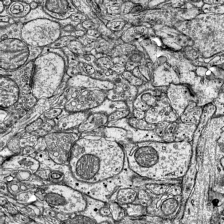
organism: Mouse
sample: Visual Cortex